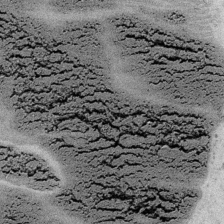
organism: Embia sp.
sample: Silk gland